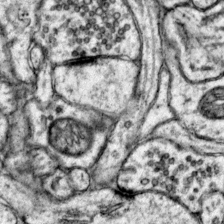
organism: Mouse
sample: Primary visual cortex